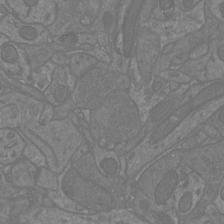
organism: Mouse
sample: Cortical neurons